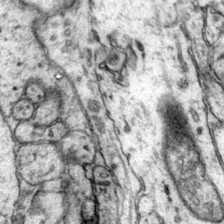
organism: Mouse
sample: Primary visual cortex